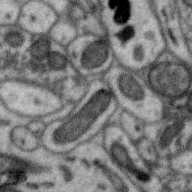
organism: Zebra finch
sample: Brain